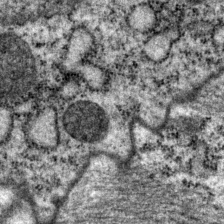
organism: P. pacificus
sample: Pharynx